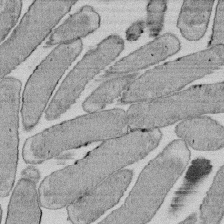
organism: E. coli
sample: Bacterial nucleoid